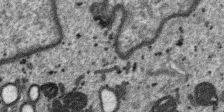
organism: Human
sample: Lung epithelial cells infected with SARS-CoV-2